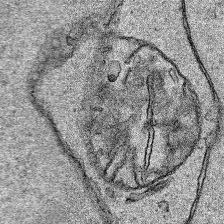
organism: Human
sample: Mitochondria in HCT116 cells